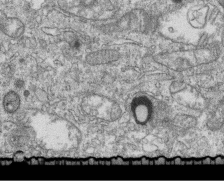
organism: Human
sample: HeLa cell HIV synapse